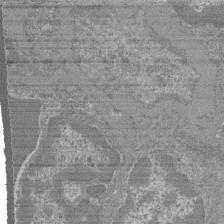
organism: Mouse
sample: Glomerulus